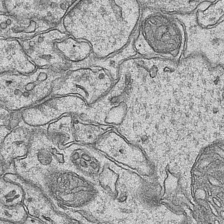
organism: Mouse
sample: CA1 Hippocampus